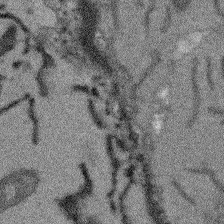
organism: Arabidopsis thaliana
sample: Root tip